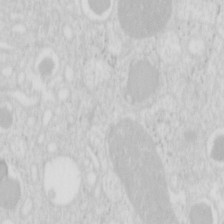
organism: Mouse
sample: Pancreas